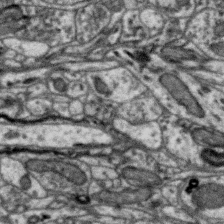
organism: Zebra finch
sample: Brain